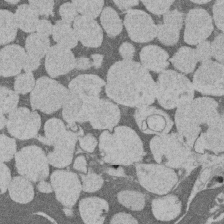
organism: Rat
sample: Salivary granule